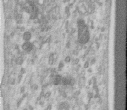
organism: Human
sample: Centriole in RPE cells